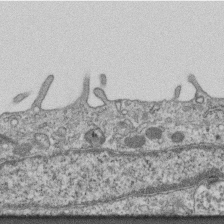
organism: Mouse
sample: Centriole in ependymal cells